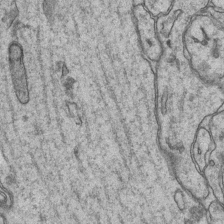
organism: Mouse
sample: CA1 Hippocampus